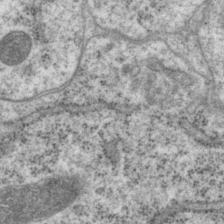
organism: P. pacificus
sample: Pharynx